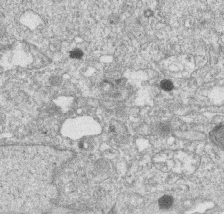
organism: Human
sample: HeLa cell HIV synapse